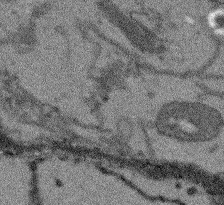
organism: Arabidopsis thaliana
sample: Root tip